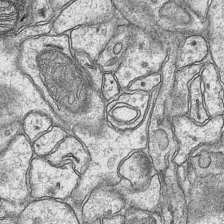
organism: Mouse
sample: CA1 Hippocampus